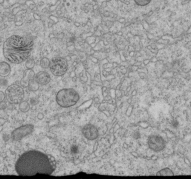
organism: C. elegans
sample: C. elegans embryo early stage